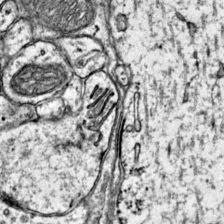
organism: Mouse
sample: Primary visual cortex